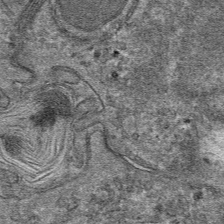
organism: Mouse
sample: Mouse hepatocytes